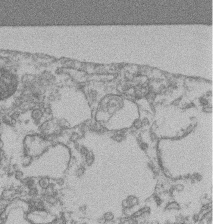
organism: Mouse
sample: T cell stromal cell synapse